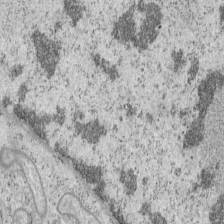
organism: Mouse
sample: OT-I killer T cells with ID8 ovarian cancer cells